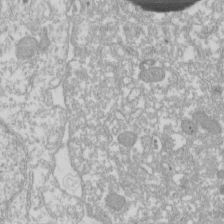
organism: Xenopus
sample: Cilia; centrioles in frog embryo cells